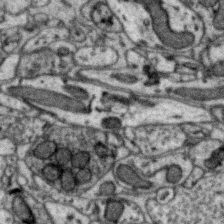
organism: Zebra finch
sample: Brain